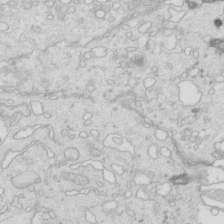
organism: Mouse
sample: Multiciliated cells